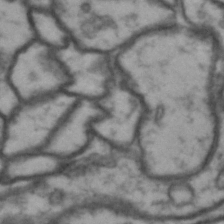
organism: Drosophila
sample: Brain